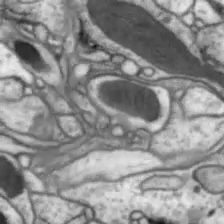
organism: Drosophila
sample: Optic lobe